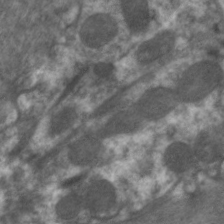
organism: C. elegans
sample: Pharynx